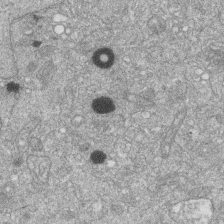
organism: Human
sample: HeLa cell HIV synapse